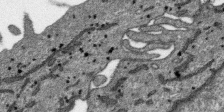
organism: Human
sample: Lung epithelial cells, uninfected (mock) control